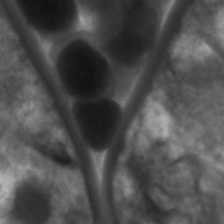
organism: C. elegans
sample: Pharynx